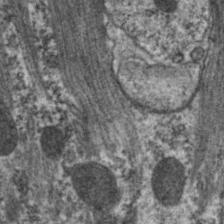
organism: C. elegans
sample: Pharynx